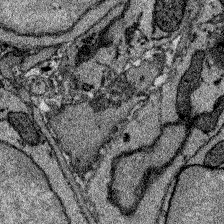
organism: Zebrafish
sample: Larval olfactory bulb